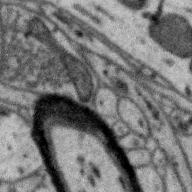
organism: Zebra finch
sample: Brain